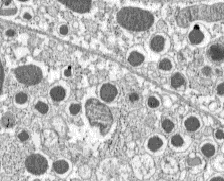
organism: C57BL Mouse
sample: Pancreatic islet